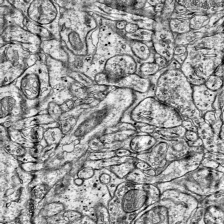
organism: Mouse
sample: Visual Cortex